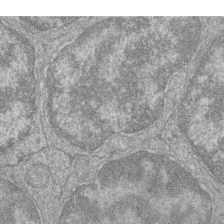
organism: Zebrafish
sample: Cilia; retinal pigment epithelium